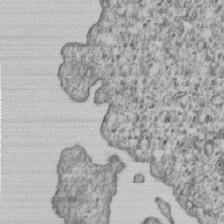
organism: Human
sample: MDA-MB-231 cells